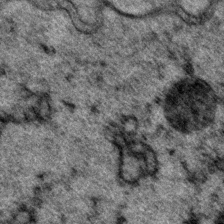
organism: P. pacificus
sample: Pharynx